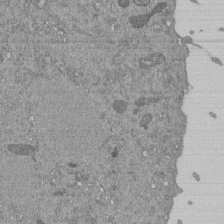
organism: Mouse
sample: ED-1 cell nuclei; centrioles